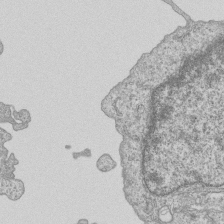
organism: Human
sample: MDA-MB-231 cells